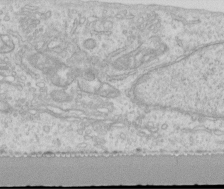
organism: Human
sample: Centriole in RPE cells